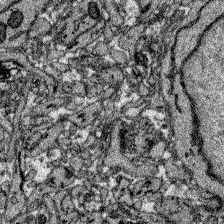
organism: Zebrafish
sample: Larval olfactory bulb